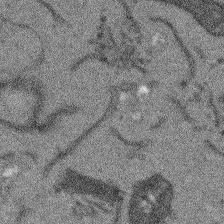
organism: Arabidopsis thaliana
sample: Root tip